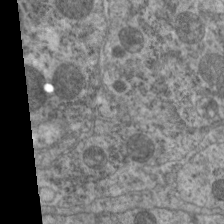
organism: C. elegans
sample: Pharynx